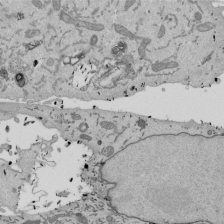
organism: Mouse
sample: ED-1 cell nuclei; centrioles